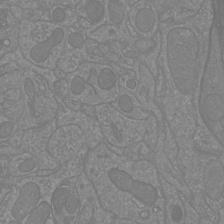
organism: Mouse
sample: Cortical neurons